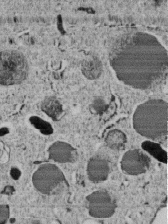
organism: C. elegans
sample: C. elegans embryo early stage